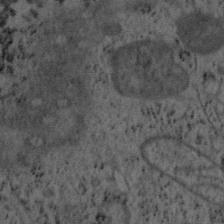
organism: Human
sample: HeLa cells